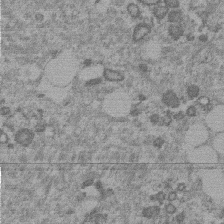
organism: Mouse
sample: Dividing mouse embryo 1 cell stage